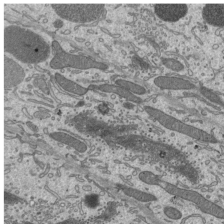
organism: Mouse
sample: Mouse epididymis efferent ductule cilia